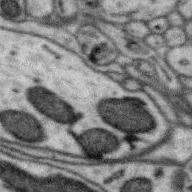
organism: Zebra finch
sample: Brain